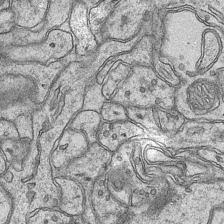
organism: Mouse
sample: CA1 Hippocampus